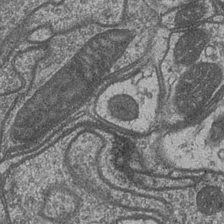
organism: Drosophila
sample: Optic medulla